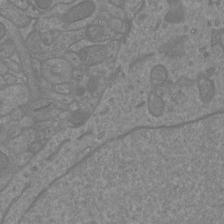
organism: Mouse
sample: Cortical neurons